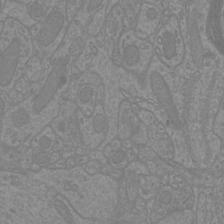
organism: Mouse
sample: Cortical neurons